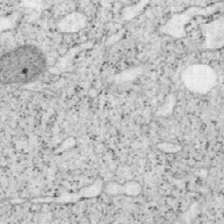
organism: Mouse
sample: OT-I killer T cells with ID8 ovarian cancer cells